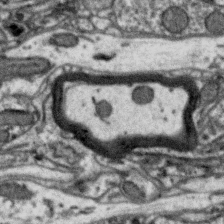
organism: Zebra finch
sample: Brain